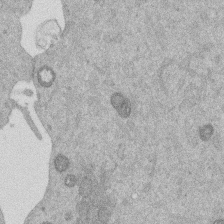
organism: Mouse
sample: Dividing mouse embryo 1 cell stage